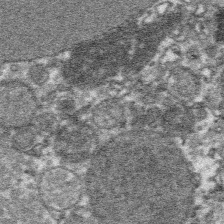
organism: Platynereis dumerilii